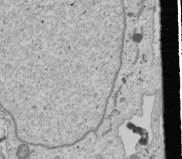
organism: Human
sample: Mitochondria in U2OS cells